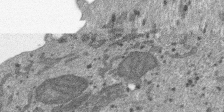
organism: Human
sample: Lung epithelial cells infected with SARS-CoV-2